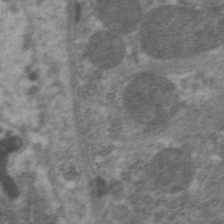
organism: C. elegans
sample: Pharynx